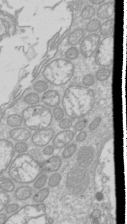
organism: Drosophila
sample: Cell division; meiosis; drosophila spermatocytes